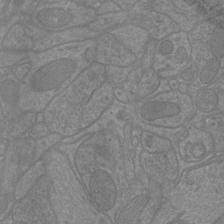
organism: Mouse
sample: Cortical neurons